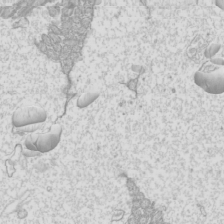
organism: Mouse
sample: Cilia; mouse epididymis